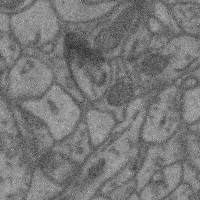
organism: Mouse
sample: Cerebral cortex